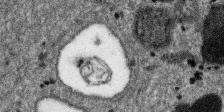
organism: Human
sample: Lung epithelial cells infected with SARS-CoV-2